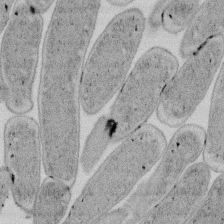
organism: E. coli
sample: Bacterial nucleoid